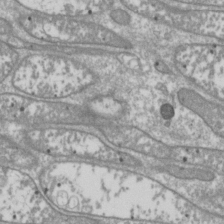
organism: Drosophila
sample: Cell division; meiosis; drosophila spermatocytes